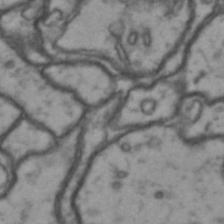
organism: Drosophila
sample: Brain